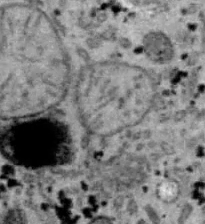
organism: Mouse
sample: Liver from an obese (ob/ob) mouse